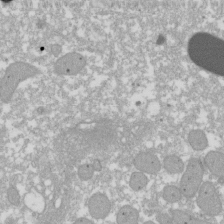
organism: Xenopus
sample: Cilia; centrioles in frog embryo cells